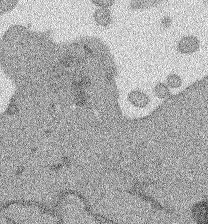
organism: Human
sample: HeLa cells